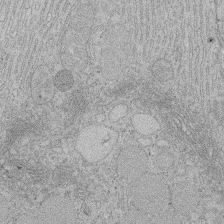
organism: Rat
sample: Salivary granule